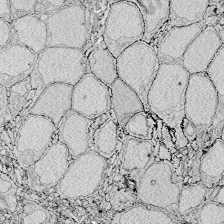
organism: Zebrafish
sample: Whole-Brain